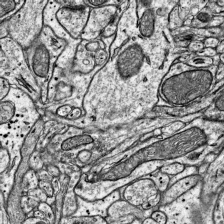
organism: Mouse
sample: Visual Cortex